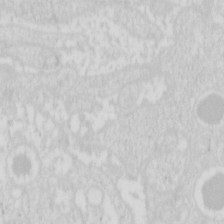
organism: Mouse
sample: Pancreas